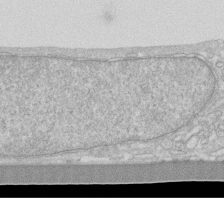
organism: Human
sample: Fibroblast cells